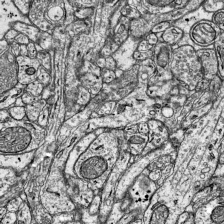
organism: Mouse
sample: Visual Cortex